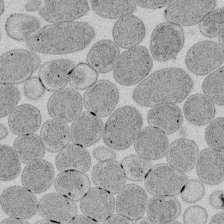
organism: E. coli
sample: Bacterial nucleoid